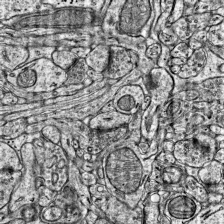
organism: Mouse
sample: Visual Cortex